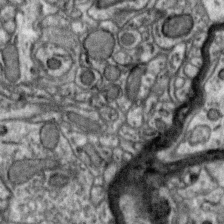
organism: Zebra finch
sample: Brain